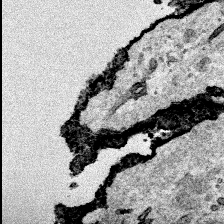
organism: Human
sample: Mitochondria in HCT116 cells